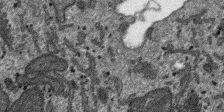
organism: Human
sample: Lung epithelial cells infected with SARS-CoV-2